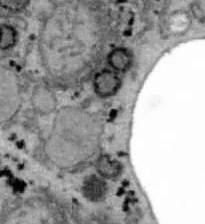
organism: Mouse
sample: Liver from an obese (ob/ob) mouse